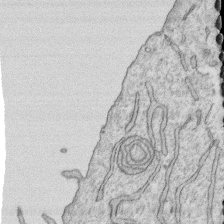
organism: Human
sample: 1205lu cells